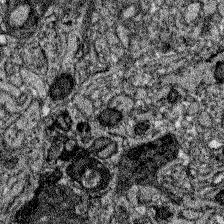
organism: Zebrafish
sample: Larval olfactory bulb